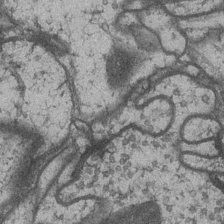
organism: Drosophila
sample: Optic medulla